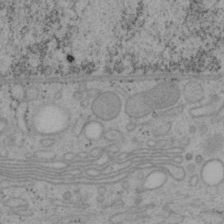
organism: Human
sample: HeLa cells